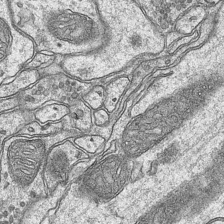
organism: Mouse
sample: CA1 Hippocampus